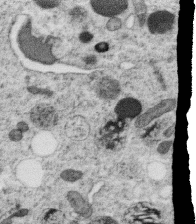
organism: C. elegans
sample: C. elegans oocyte; sperm cells